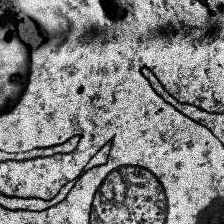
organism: Human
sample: Temporal Lobe